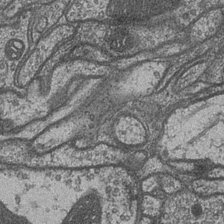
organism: Drosophila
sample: Optic medulla